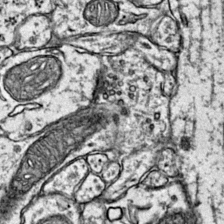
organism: Mouse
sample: Primary visual cortex